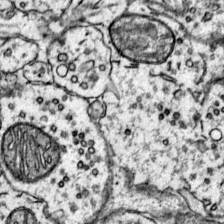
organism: Mouse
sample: Primary visual cortex